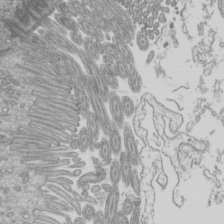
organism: Mouse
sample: Cilia; mouse epididymis